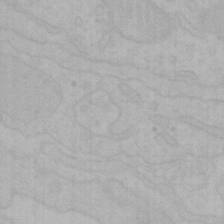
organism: Mouse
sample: Choroid plexus